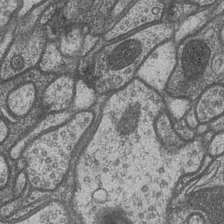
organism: Drosophila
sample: Optic medulla